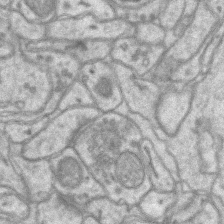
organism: Mouse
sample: CA1 Hippocampus